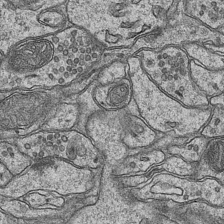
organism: Mouse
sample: CA1 Hippocampus